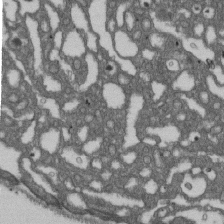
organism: Drosophila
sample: Nephrocyte